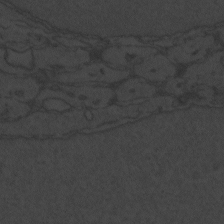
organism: Zebrafish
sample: Macrophage infected with Toxoplasma gondii